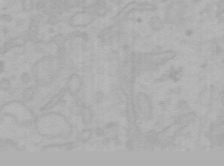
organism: Mouse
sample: Choroid plexus